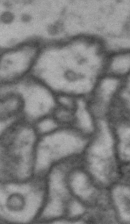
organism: Drosophila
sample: Brain